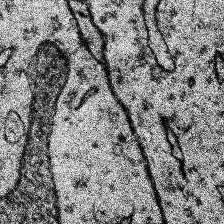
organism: Human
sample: Temporal Lobe